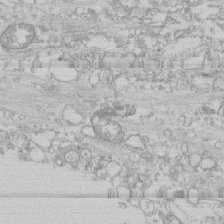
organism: Human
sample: CRL-1474